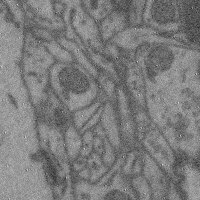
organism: Mouse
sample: Cerebral cortex